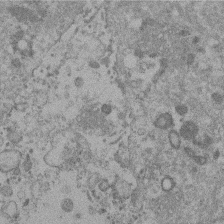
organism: Mouse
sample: Dividing mouse embryo 1 cell stage